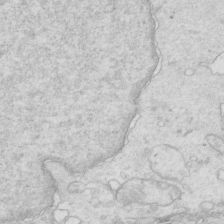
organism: Mouse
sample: Multiciliated cells